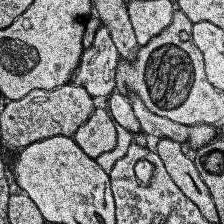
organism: Human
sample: Temporal Lobe